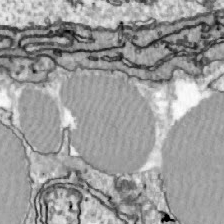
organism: Zebrafish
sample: Actinotrichia fibers